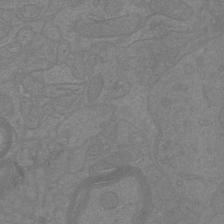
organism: Mouse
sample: Cortical neurons